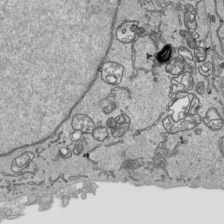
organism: Human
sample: Mitochondria in HCT116 cells